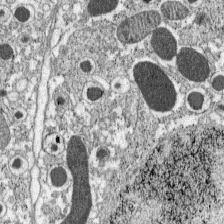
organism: C57BL Mouse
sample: Pancreatic islet